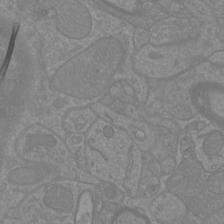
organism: Mouse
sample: Cortical neurons